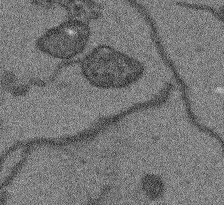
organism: Arabidopsis thaliana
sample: Root tip